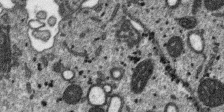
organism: Human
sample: Lung epithelial cells infected with SARS-CoV-2